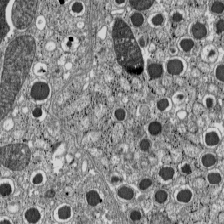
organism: C57BL Mouse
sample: Pancreatic islet